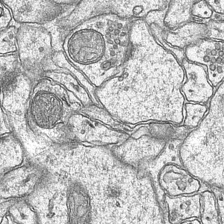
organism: Mouse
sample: CA1 Hippocampus